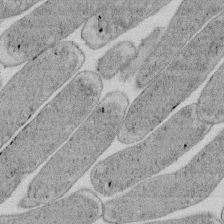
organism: E. coli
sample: Bacterial nucleoid